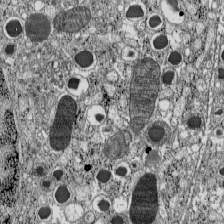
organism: C57BL Mouse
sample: Pancreatic islet